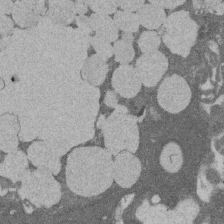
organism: Rat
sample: Salivary granule